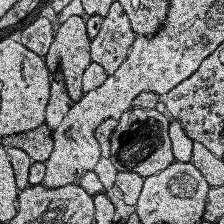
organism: Human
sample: Temporal Lobe